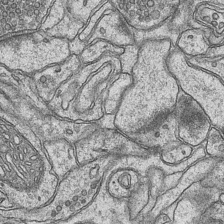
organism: Mouse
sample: CA1 Hippocampus